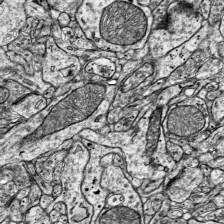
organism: Mouse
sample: Visual Cortex